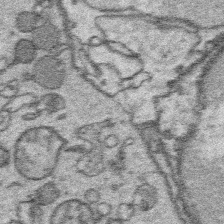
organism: Platynereis dumerilii